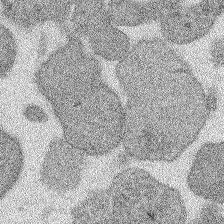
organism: Human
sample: HeLa cells